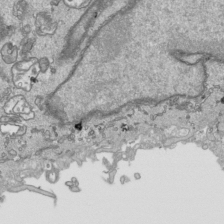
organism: Human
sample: Mitochondria in HCT116 cells